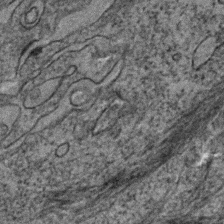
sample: Trachea